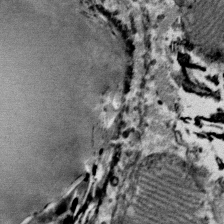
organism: Mouse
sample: Mouse Salivary gland